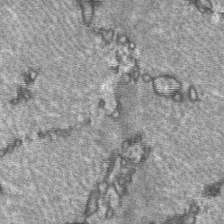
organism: C57BL Mouse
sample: Soleus